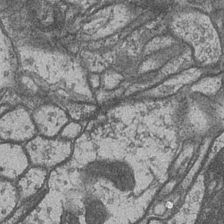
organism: Drosophila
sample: Optic medulla